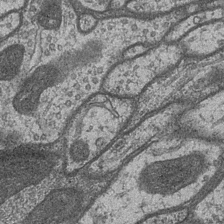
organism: Drosophila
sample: Optic medulla